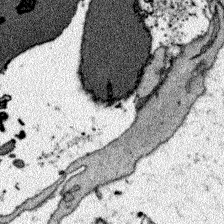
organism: Zebrafish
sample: Larval olfactory bulb